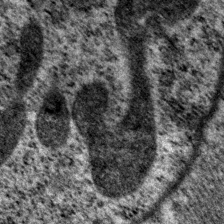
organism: P. pacificus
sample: Pharynx